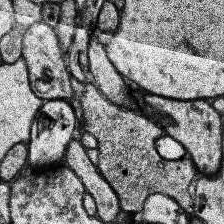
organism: Human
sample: Temporal Lobe